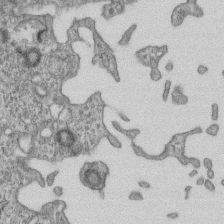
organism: Mouse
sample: Centriole in ependymal cells